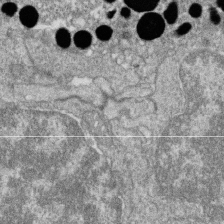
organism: Zebrafish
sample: Cilia; retinal pigment epithelium